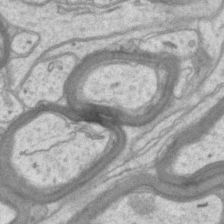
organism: Mouse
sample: CA1 Hippocampus